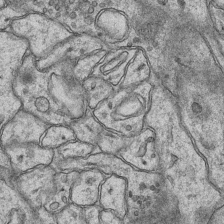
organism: Mouse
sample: CA1 Hippocampus